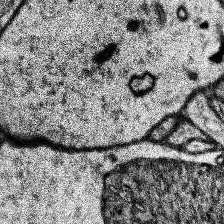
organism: Human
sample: Temporal Lobe